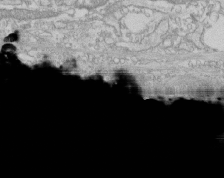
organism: Human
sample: CRL-1474